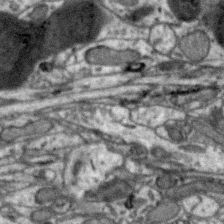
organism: Zebra finch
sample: Brain